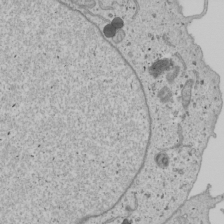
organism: Human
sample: Mitochondria in U2OS cells